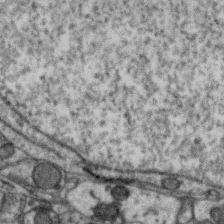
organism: Zebra finch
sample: Brain